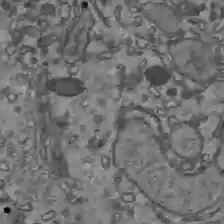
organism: C57BL Mouse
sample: Liver